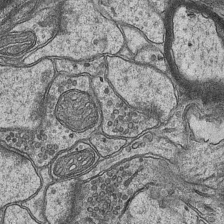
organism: Mouse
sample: CA1 Hippocampus